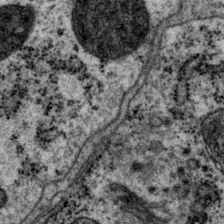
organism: P. pacificus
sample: Pharynx